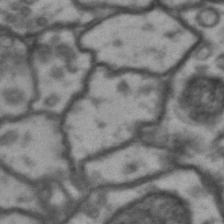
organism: Drosophila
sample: Brain